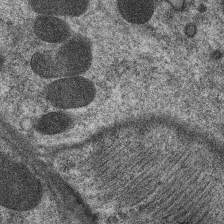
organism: C. elegans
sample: Pharynx